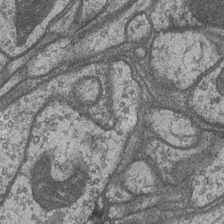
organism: Drosophila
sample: Optic medulla